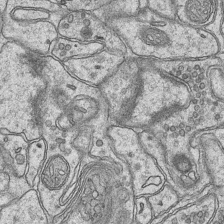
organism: Mouse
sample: CA1 Hippocampus